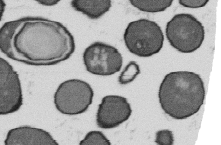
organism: B. subtilis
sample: Bacterial spore